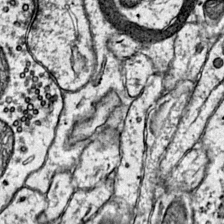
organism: Mouse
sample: Primary visual cortex